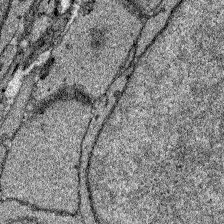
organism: Zebrafish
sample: Larval olfactory bulb